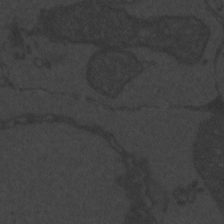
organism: Zebrafish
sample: Macrophage infected with Toxoplasma gondii